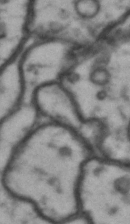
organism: Drosophila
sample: Brain